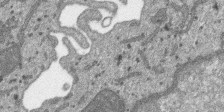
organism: Human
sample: Lung epithelial cells infected with SARS-CoV-2